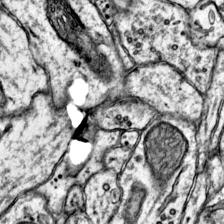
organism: Mouse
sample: Primary visual cortex